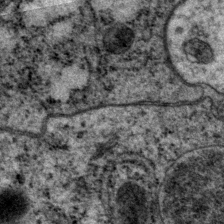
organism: P. pacificus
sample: Pharynx